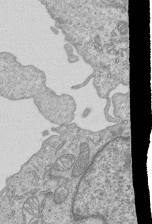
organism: Human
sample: MDA-MB-231 cells